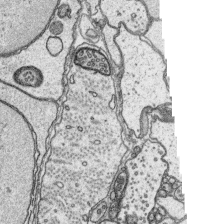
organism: Platynereis dumerilii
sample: Parapodia